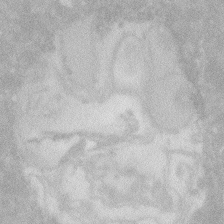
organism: Zebrafish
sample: Macrophage